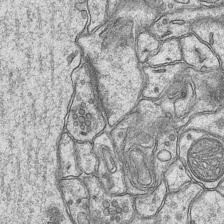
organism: Mouse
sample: CA1 Hippocampus